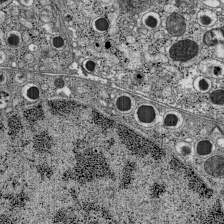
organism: C57BL Mouse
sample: Pancreatic islet